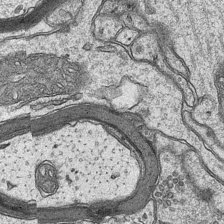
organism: Mouse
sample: CA1 Hippocampus